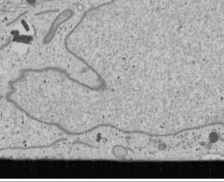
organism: Human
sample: Mitochondria in U2OS cells